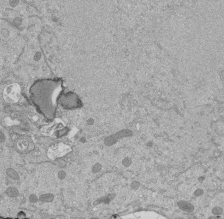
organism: Mouse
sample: ED-1 cell nuclei; centrioles